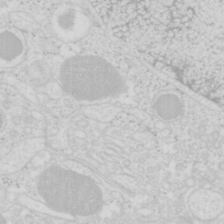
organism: Mouse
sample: Pancreas